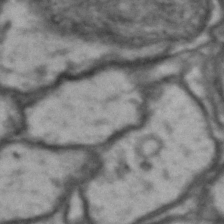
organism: Drosophila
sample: Brain